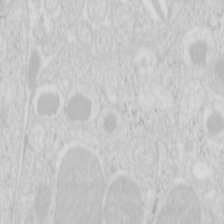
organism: Mouse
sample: Pancreas